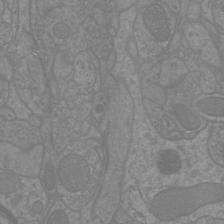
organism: Mouse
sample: Cortical neurons